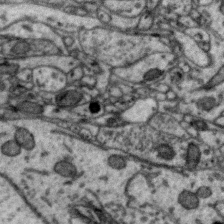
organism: Zebra finch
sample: Brain